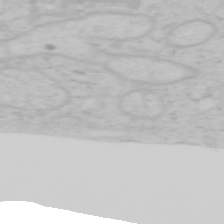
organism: Mouse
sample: OT-I killer T cells with ID8 ovarian cancer cells